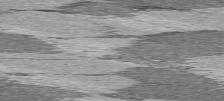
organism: C57BL Mouse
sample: Heart